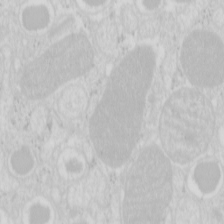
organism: Mouse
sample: Pancreas